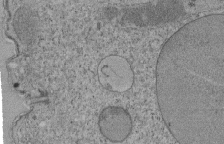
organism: Tetrahymena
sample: Cilia in tetrahymena